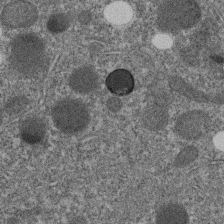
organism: C. elegans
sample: C. elegans embryo early stage